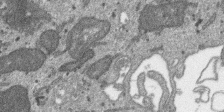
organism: Human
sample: Lung epithelial cells infected with SARS-CoV-2